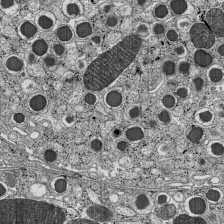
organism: C57BL Mouse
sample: Pancreatic islet